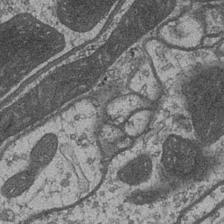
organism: Drosophila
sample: Optic medulla